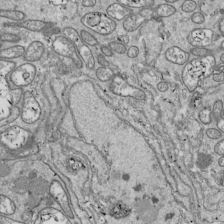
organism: Drosophila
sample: Cell division; meiosis; drosophila spermatocytes